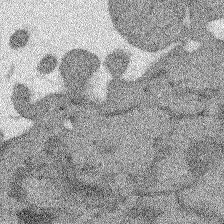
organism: Human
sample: HeLa cells